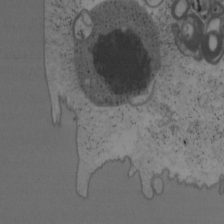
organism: Mouse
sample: OT-I killer T cells with ID8 ovarian cancer cells